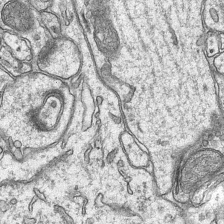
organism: Mouse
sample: CA1 Hippocampus